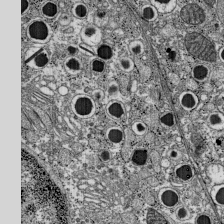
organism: C57BL Mouse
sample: Pancreatic islet